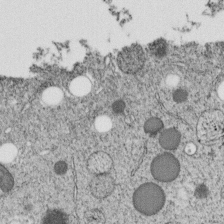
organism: C. elegans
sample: C. elegans embryo early stage